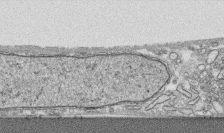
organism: Human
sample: CRL-1474